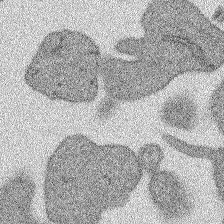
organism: Human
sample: HeLa cells